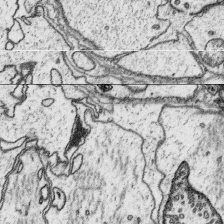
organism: Platynereis dumerilii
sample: Parapodia